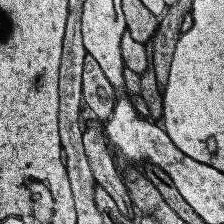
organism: Human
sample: Temporal Lobe